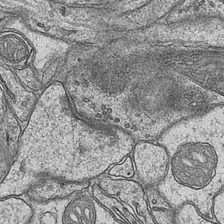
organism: Mouse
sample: CA1 Hippocampus